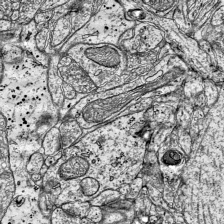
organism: Mouse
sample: Visual Cortex